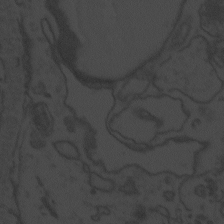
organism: Zebrafish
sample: Macrophage infected with Toxoplasma gondii